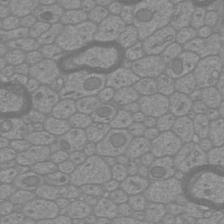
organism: Mouse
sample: Cortical neurons